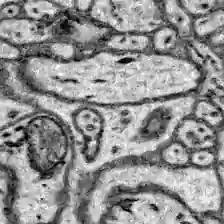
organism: Zebrafish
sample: Brain